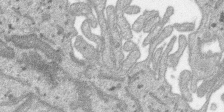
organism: Human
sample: Lung epithelial cells infected with SARS-CoV-2